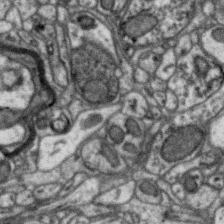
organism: Zebra finch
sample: Brain